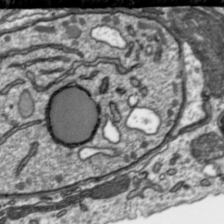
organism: Toxoplasma gondii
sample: Parasites in a vacuole inside a host cell